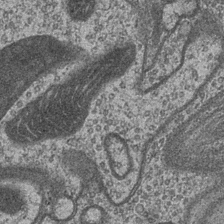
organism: Drosophila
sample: Optic medulla